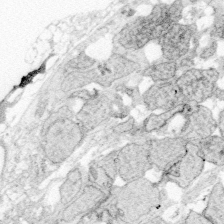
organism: Zebrafish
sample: Whole-Brain